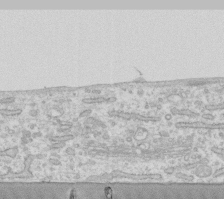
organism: Human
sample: Fibroblast cells